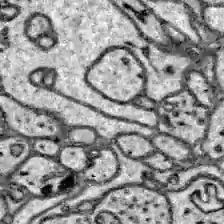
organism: Zebrafish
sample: Brain